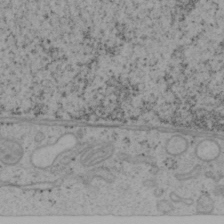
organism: Human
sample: HeLa cells